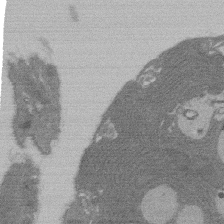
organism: Rat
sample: Salivary granule